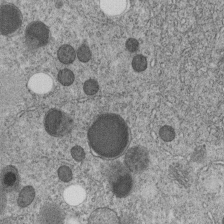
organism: C. elegans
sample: C. elegans embryo early stage